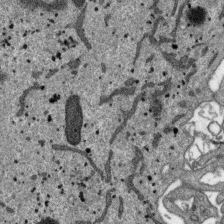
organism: Human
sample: Lung epithelial cells, uninfected (mock) control